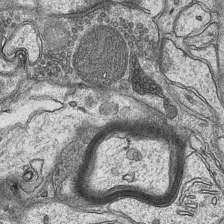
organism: Mouse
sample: CA1 Hippocampus